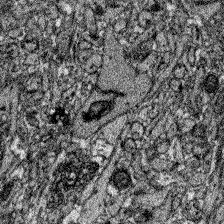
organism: Zebrafish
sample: Larval olfactory bulb